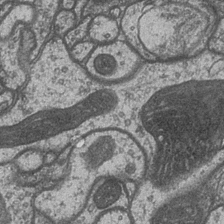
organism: Drosophila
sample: Optic medulla